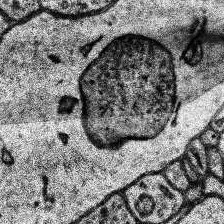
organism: Human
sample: Temporal Lobe